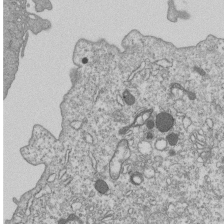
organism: Human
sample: MDA-MB-231 cells